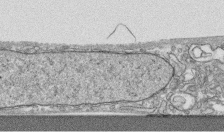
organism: Human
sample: CRL-1474